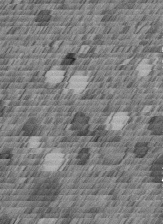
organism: C. elegans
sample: C. elegans embryo early stage